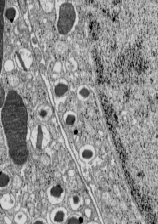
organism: C57BL Mouse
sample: Pancreatic islet